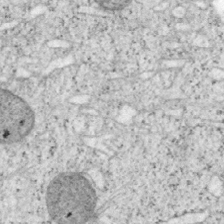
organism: Mouse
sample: OT-I killer T cells with ID8 ovarian cancer cells